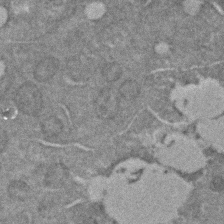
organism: C. elegans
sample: C. elegans embryo